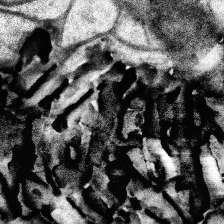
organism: Human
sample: Temporal Lobe